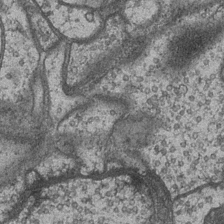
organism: Drosophila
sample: Optic medulla